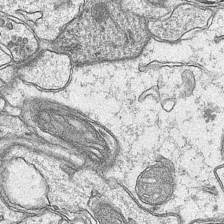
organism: Mouse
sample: CA1 Hippocampus